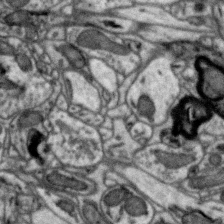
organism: Zebra finch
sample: Brain